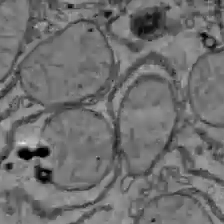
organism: C57BL Mouse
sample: Liver